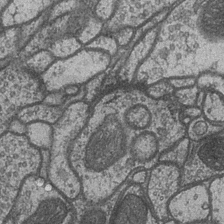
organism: Drosophila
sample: Optic medulla